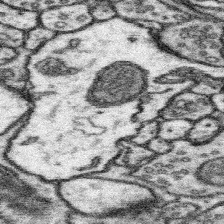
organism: Mouse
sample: Somatosensory cortex neuropil